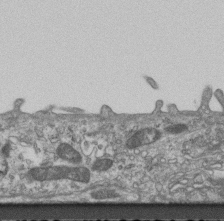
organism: Mouse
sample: Centriole in ependymal cells